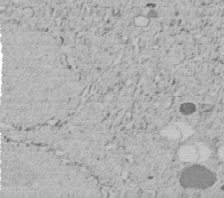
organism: C. elegans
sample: C. elegans embryo early stage